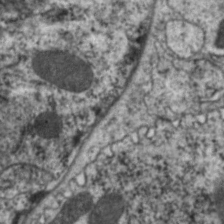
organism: C. elegans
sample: Pharynx